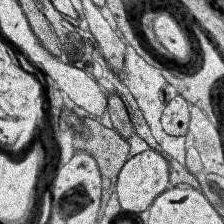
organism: Human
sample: Temporal Lobe